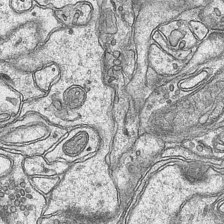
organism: Mouse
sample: CA1 Hippocampus